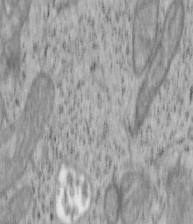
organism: Human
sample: HeLa cells